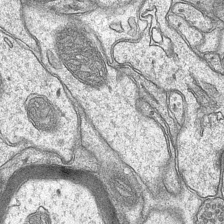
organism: Mouse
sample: CA1 Hippocampus